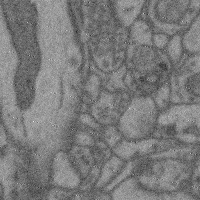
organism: Mouse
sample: Cerebral cortex